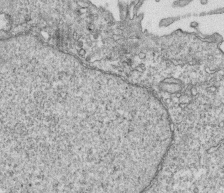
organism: Human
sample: HeLa cell HIV synapse